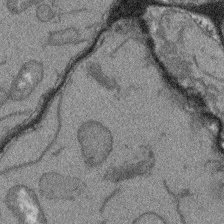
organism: Arabidopsis thaliana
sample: Root tip